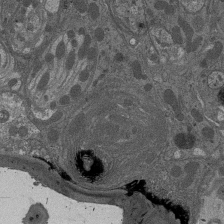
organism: Drosophila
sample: Antenna